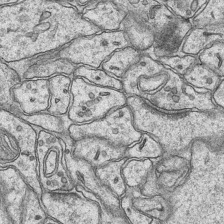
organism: Mouse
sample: CA1 Hippocampus